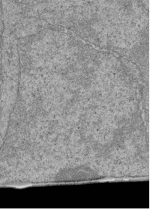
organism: Human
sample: Retinal organoid Rod and Cone cells